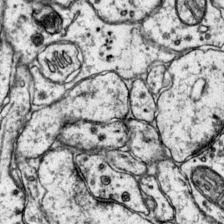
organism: Mouse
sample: Primary visual cortex